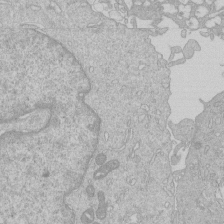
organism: Human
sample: Macrophage cells